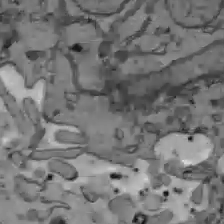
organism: C57BL Mouse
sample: Liver